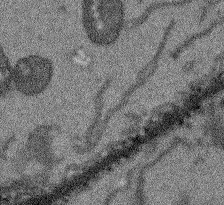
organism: Arabidopsis thaliana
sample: Root tip